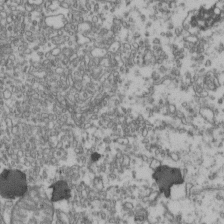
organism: Human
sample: Activated Jurkat CD4+ T cells